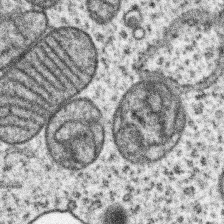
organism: Human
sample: HeLa cells